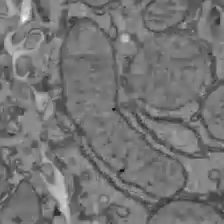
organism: C57BL Mouse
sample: Liver